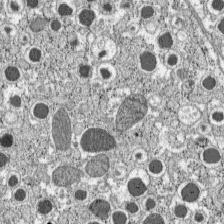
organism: C57BL Mouse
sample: Pancreatic islet